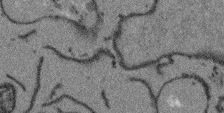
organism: Arabidopsis thaliana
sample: Root tip